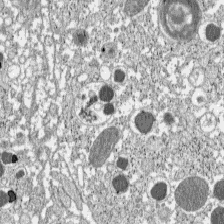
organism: C57BL Mouse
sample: Pancreatic islet